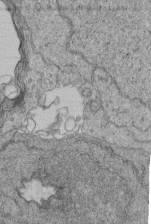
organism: Human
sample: Retinal organoid Rod and Cone cells